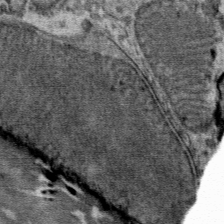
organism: Mouse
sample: Mouse Salivary gland